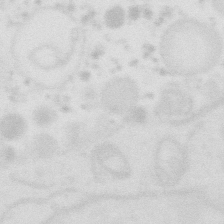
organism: Human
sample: HeLa cells